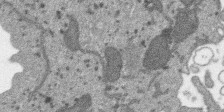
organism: Human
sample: Lung epithelial cells infected with SARS-CoV-2